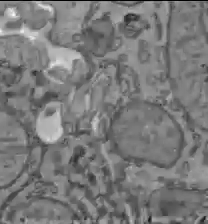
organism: C57BL Mouse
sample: Liver